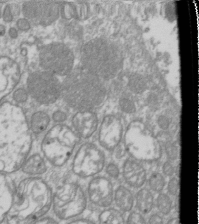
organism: Drosophila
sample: Cell division; meiosis; drosophila spermatocytes